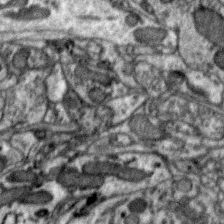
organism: Zebra finch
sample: Brain